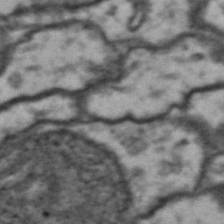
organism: Drosophila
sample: Brain